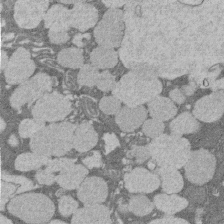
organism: Rat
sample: Salivary granule